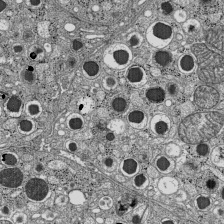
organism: C57BL Mouse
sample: Pancreatic islet